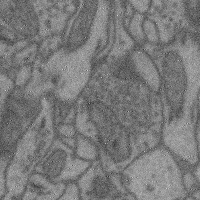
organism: Mouse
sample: Cerebral cortex